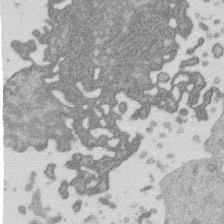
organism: Mouse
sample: Dividing mouse embryo 1 cell stage